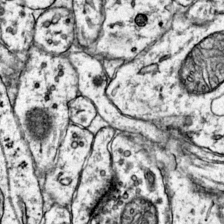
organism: Mouse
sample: Primary visual cortex